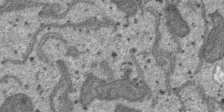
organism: Human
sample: Lung epithelial cells infected with SARS-CoV-2